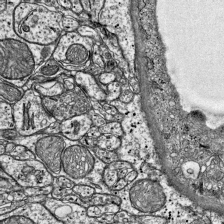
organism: Mouse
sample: Visual Cortex